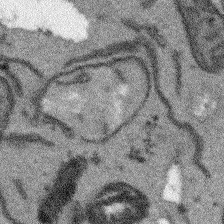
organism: Arabidopsis thaliana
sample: Root tip